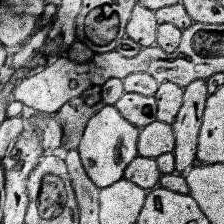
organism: Human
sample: Temporal Lobe